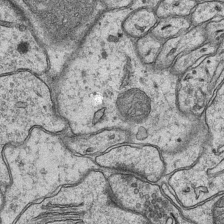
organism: Mouse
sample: CA1 Hippocampus